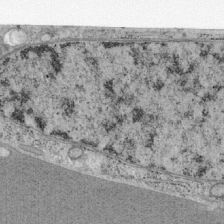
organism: Human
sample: HeLa cells